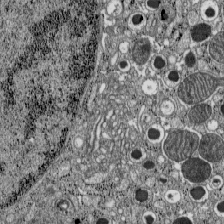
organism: C57BL Mouse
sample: Pancreatic islet